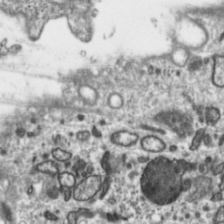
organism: Toxoplasma gondii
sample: Parasites in a vacuole inside a host cell